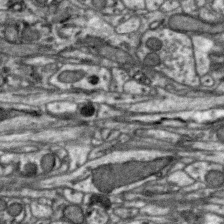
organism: Zebra finch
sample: Brain